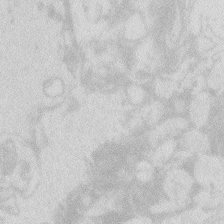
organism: Zebrafish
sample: Macrophage